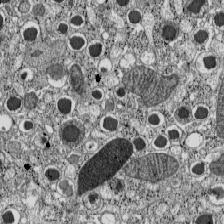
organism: C57BL Mouse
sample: Pancreatic islet